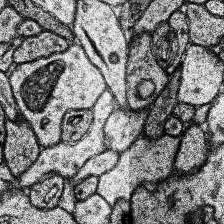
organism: Human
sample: Temporal Lobe